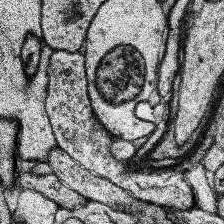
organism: Human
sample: Temporal Lobe